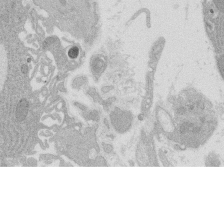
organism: Rat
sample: Salivary granule